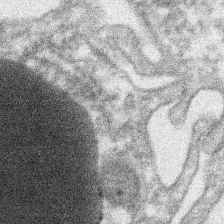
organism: Xenopus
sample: Cilia; centrioles in frog embryo cells